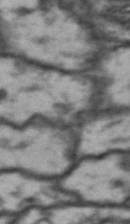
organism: Drosophila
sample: Brain